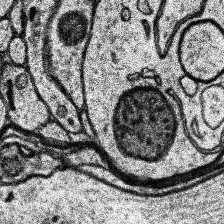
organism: Human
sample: Temporal Lobe